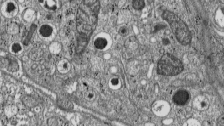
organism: C57BL Mouse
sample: Pancreatic islet